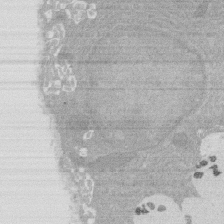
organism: Rat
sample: Salivary granule